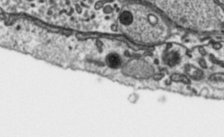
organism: Toxoplasma gondii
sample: Parasites in a vacuole inside a host cell